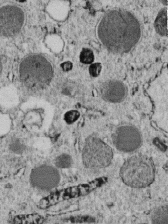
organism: C. elegans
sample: C. elegans embryo early stage